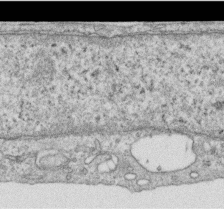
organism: Human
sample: Centriole in RPE cells